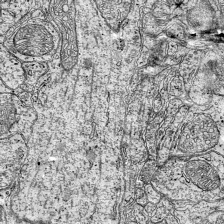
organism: Mouse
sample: Visual Cortex